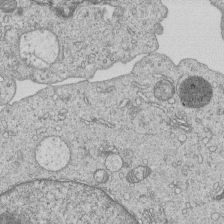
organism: Human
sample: MDA-MB-231 cells